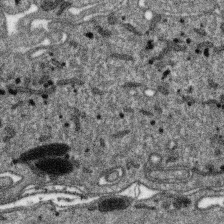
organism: Human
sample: Lung epithelial cells infected with SARS-CoV-2